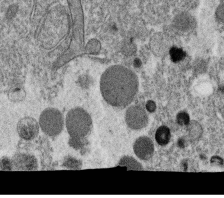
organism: C. elegans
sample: C. elegans oocyte; sperm cells